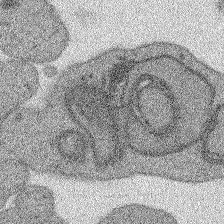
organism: Human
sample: HeLa cells